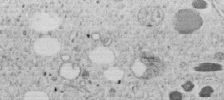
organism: C. elegans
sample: C. elegans embryo early stage